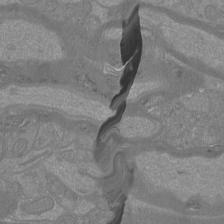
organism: Mouse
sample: Cortical neurons